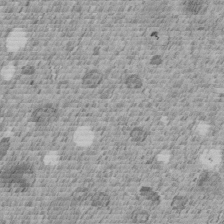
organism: C. elegans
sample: C. elegans embryo early stage